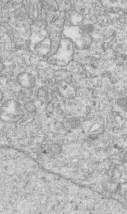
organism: Human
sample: HeLa cell HIV synapse